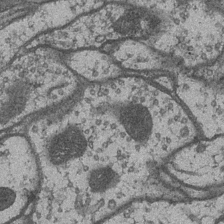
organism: Drosophila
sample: Optic medulla